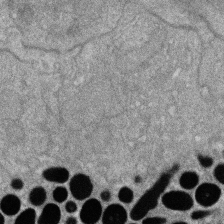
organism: Zebrafish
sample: Cilia; retinal pigment epithelium